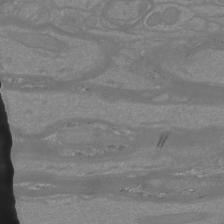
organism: Mouse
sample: Cortical neurons